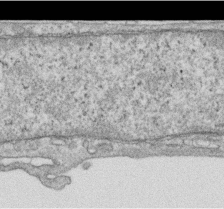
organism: Human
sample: Centriole in RPE cells